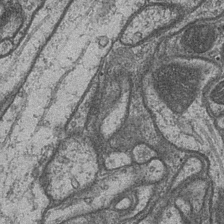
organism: Drosophila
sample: Optic medulla